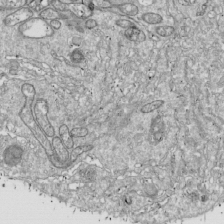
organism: Drosophila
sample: Cell division; meiosis; drosophila spermatocytes